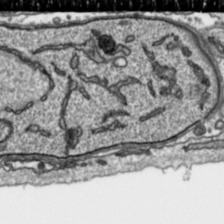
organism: Toxoplasma gondii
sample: Parasites in a vacuole inside a host cell